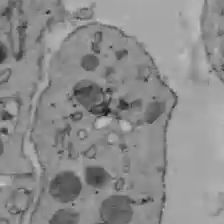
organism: C57BL Mouse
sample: Liver